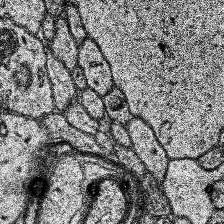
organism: Human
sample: Temporal Lobe